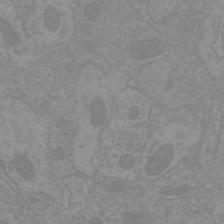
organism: Mouse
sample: Cortical neurons